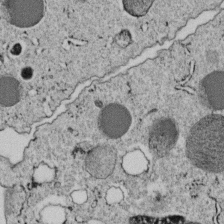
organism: C. elegans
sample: C. elegans embryo early stage